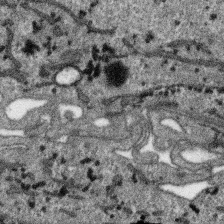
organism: Human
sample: Lung epithelial cells infected with SARS-CoV-2